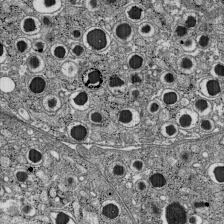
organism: C57BL Mouse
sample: Pancreatic islet